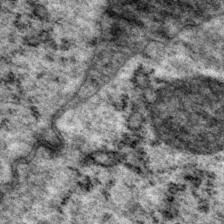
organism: P. pacificus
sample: Pharynx